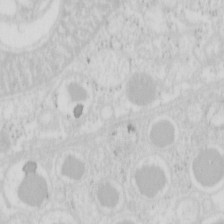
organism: Mouse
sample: Pancreas